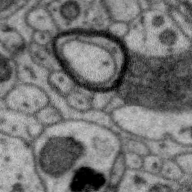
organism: Zebra finch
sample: Brain